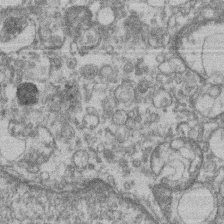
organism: Mouse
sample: T cell stromal cell synapse